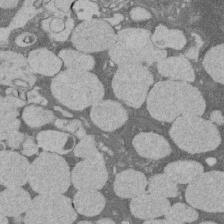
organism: Rat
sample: Salivary granule